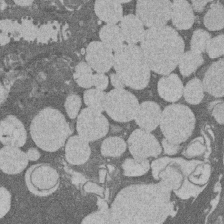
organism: Rat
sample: Salivary granule